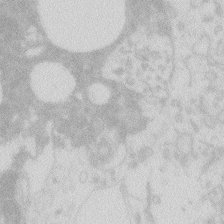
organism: Zebrafish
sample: Macrophage